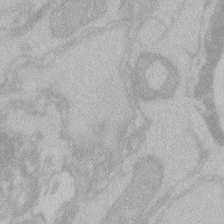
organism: Zebrafish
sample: Macrophage infected with Toxoplasma gondii